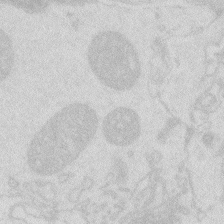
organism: Zebrafish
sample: Macrophage